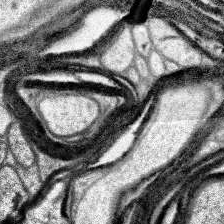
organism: Human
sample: Temporal Lobe